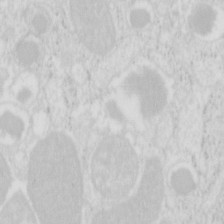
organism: Mouse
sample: Pancreas